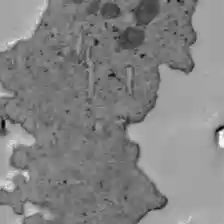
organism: C57BL Mouse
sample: Liver